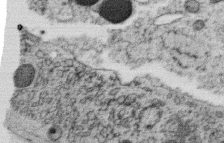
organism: C. elegans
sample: C. elegans oocyte; sperm cells